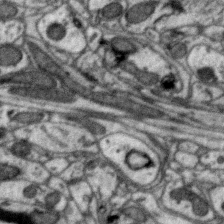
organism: Zebra finch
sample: Brain